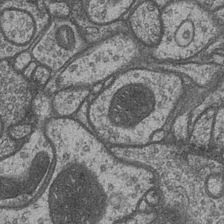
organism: Drosophila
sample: Optic medulla